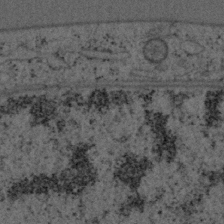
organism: Human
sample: HeLa cells